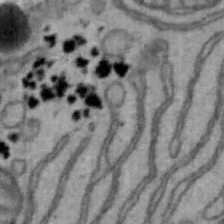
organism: Mouse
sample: Liver